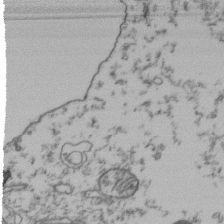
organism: Human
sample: Activated Jurkat CD4+ T cells